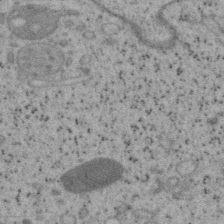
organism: Human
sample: HeLa cells